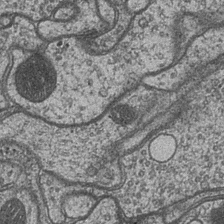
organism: Drosophila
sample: Optic medulla